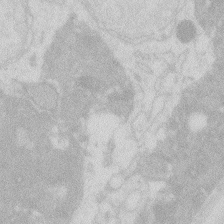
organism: Zebrafish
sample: Macrophage